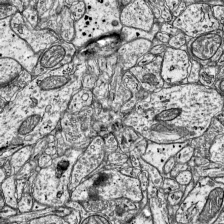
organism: Mouse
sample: Visual Cortex